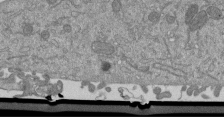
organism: Mouse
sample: ED-1 cell nuclei; centrioles